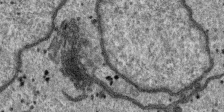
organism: Human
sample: Lung epithelial cells, uninfected (mock) control